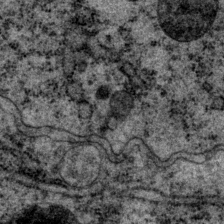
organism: P. pacificus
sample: Pharynx